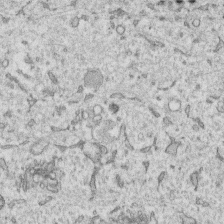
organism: Human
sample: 1205lu cells